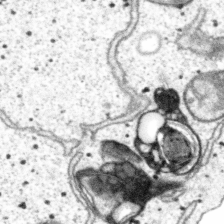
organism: Human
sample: HeLa cells